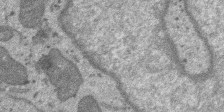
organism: Human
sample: Lung epithelial cells infected with SARS-CoV-2